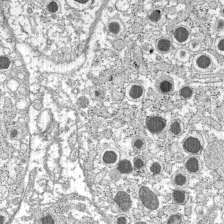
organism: C57BL Mouse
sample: Pancreatic islet